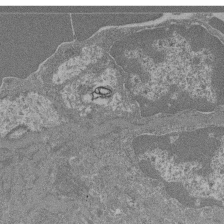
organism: Mouse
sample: Glomerulus